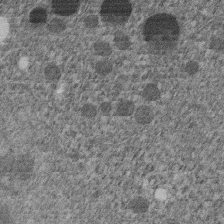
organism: C. elegans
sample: C. elegans embryo early stage